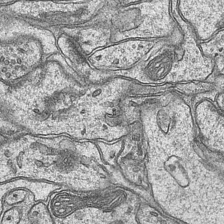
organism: Mouse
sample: CA1 Hippocampus